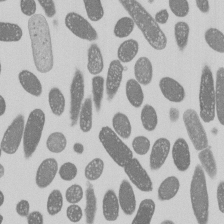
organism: E. coli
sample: Bacterial nucleoid